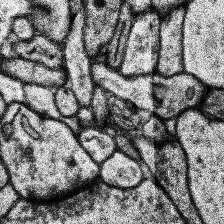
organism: Human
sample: Temporal Lobe